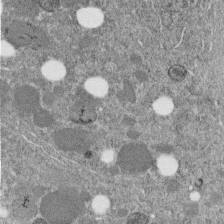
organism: C. elegans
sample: C. elegans embryo early stage